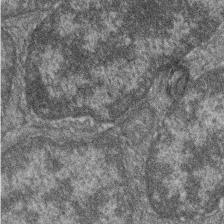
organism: Zebrafish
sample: Cilia; retinal pigment epithelium